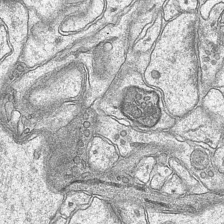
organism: Mouse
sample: CA1 Hippocampus